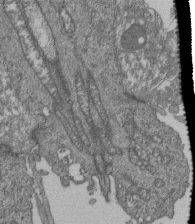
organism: Human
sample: Retinal organoid Rod and Cone cells